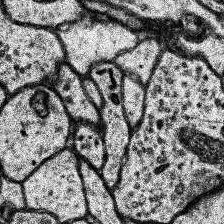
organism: Human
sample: Temporal Lobe